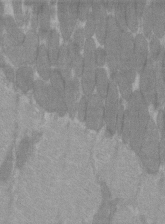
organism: C57BL Mouse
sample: Tibialis anterior muscle cell